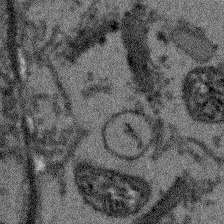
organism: Arabidopsis thaliana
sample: Root tip